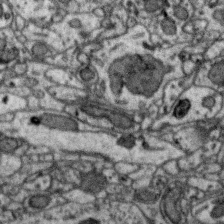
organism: Zebra finch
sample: Brain